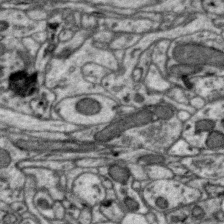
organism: Zebra finch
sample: Brain